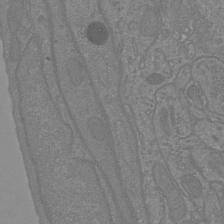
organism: Mouse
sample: Cortical neurons